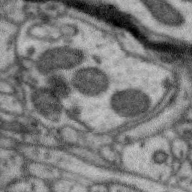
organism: Zebra finch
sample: Brain